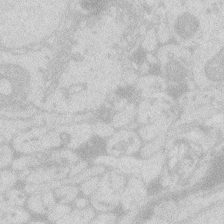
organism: Zebrafish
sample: Macrophage